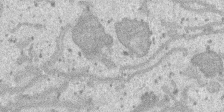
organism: Human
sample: Lung epithelial cells infected with SARS-CoV-2